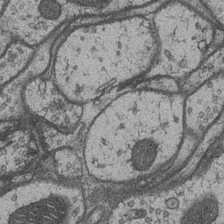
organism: Drosophila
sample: Optic medulla